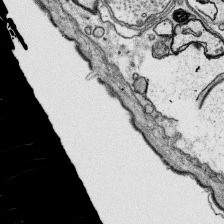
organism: Platynereis dumerilii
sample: Parapodia